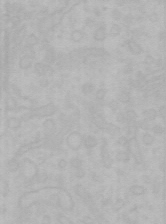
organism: Mouse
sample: Choroid plexus